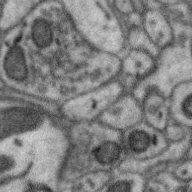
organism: Zebra finch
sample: Brain